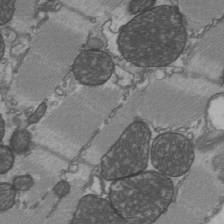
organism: C57BL Mouse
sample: Heart